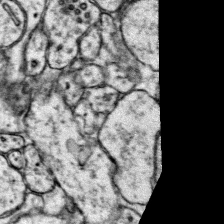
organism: Mouse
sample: Primary visual cortex